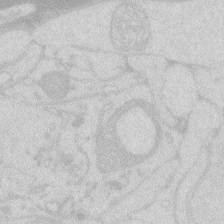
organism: Zebrafish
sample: Macrophage